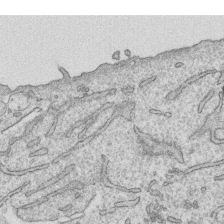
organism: Human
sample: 1205lu cells